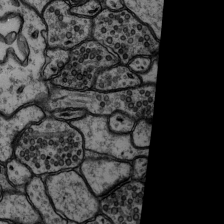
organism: Rat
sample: Hippocampus